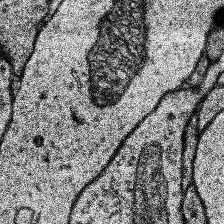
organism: Human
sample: Temporal Lobe